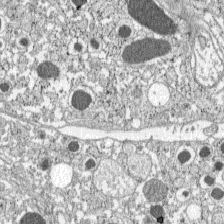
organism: C57BL Mouse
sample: Pancreatic islet